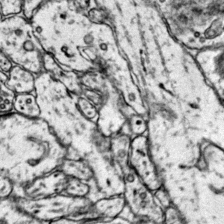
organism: Mouse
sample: Primary visual cortex